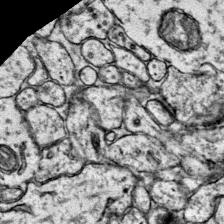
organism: Mouse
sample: Primary visual cortex